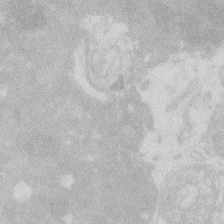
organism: Zebrafish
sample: Macrophage